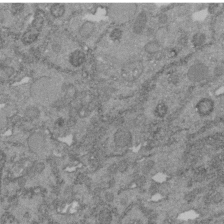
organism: C. elegans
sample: C. elegans embryo early stage